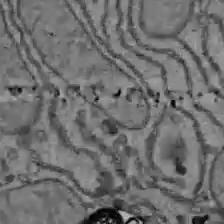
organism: C57BL Mouse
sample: Liver